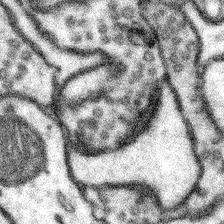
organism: Mouse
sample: Somatosensory cortex neuropil